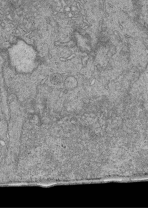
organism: Human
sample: Retinal organoid Rod and Cone cells